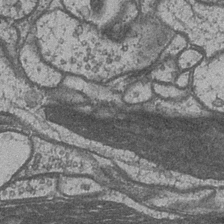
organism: Drosophila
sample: Optic medulla